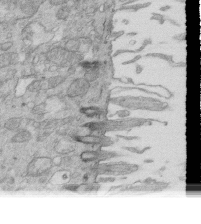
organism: Mouse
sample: Multiciliated cells